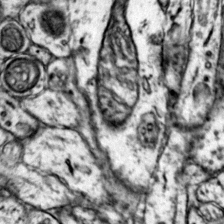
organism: Mouse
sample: Primary visual cortex